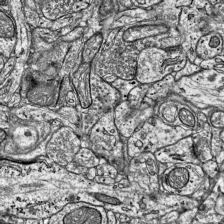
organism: Mouse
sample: Visual Cortex